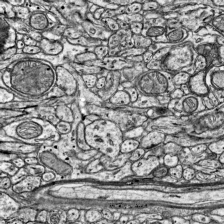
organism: Mouse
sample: Visual Cortex